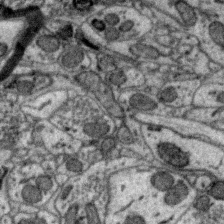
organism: Zebra finch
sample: Brain